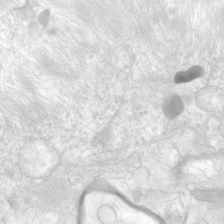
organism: Human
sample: Neocortex